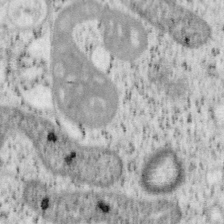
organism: Mouse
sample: OT-I killer T cells with ID8 ovarian cancer cells